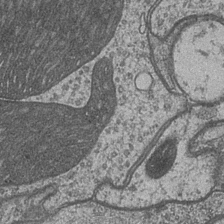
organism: Drosophila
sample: Optic medulla